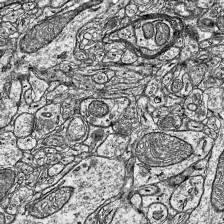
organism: Mouse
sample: Visual Cortex